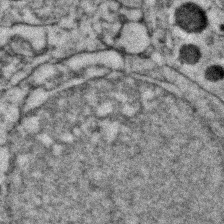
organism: Zebrafish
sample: Zebrafish embryo